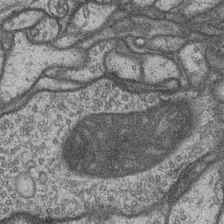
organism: Drosophila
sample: Optic medulla